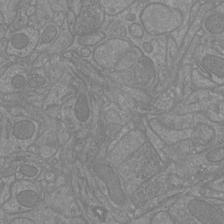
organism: Mouse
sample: Cortical neurons